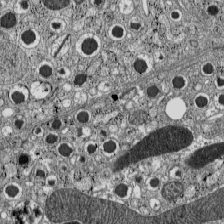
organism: C57BL Mouse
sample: Pancreatic islet